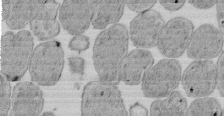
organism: E. coli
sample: Bacterial nucleoid